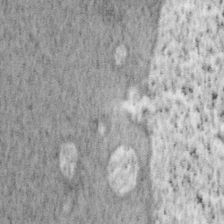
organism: Mouse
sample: OT-I killer T cells with ID8 ovarian cancer cells